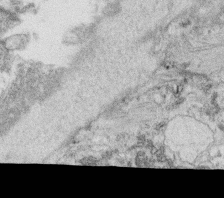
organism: C. elegans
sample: C. elegans oocyte; sperm cells